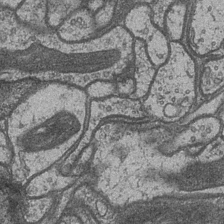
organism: Drosophila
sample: Optic medulla